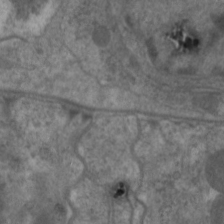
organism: C. elegans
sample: Pharynx